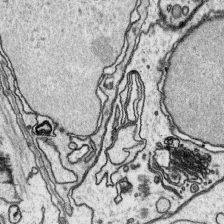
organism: Platynereis dumerilii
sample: Parapodia